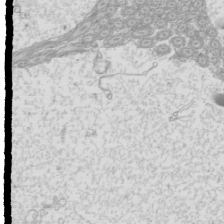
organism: Mouse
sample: Cilia; mouse epididymis